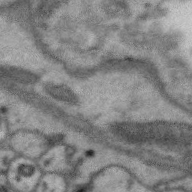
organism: Zebra finch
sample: Brain